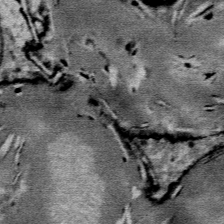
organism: Mouse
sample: Mouse Salivary gland